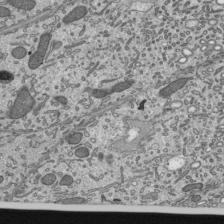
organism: Mouse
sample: Mouse epididymis efferent ductule cilia